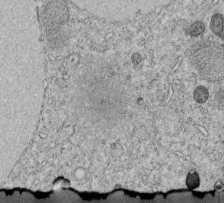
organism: C. elegans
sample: C. elegans embryo early stage